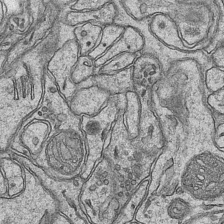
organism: Mouse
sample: CA1 Hippocampus